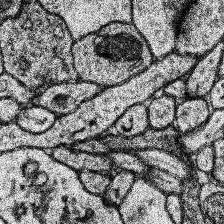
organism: Human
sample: Temporal Lobe